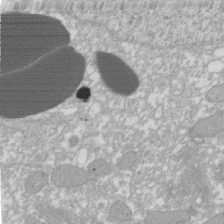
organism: Xenopus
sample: Cilia; centrioles in frog embryo cells